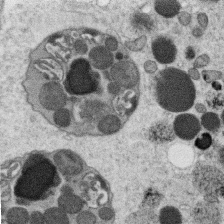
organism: C. elegans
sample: C. elegans oocyte; sperm cells